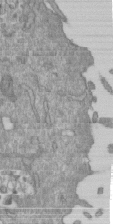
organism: Mouse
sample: ED-1 cell nuclei; centrioles